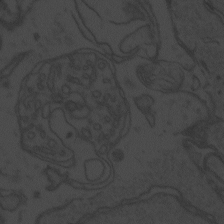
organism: Zebrafish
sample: Macrophage infected with Toxoplasma gondii